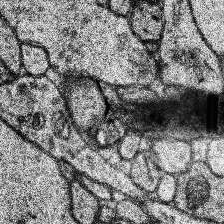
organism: Human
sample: Temporal Lobe